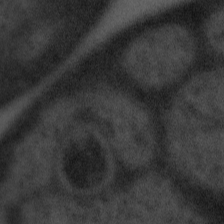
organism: Tuwongella immobilis